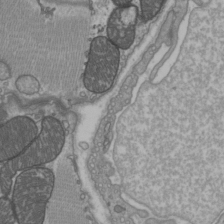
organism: C57BL Mouse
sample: Heart